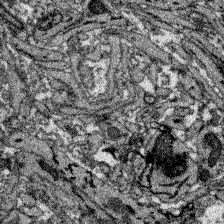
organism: Zebrafish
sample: Larval olfactory bulb